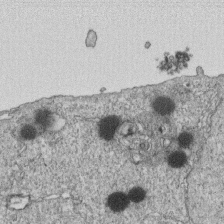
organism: Human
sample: HeLa cell HIV synapse